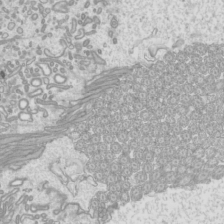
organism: Mouse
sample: Cilia; mouse epididymis